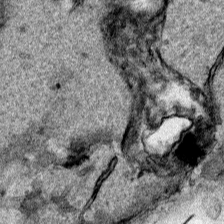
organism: Human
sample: Mitochondria in HCT116 cells